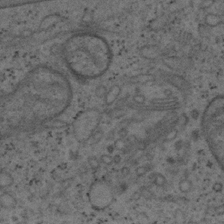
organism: Human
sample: HeLa cells